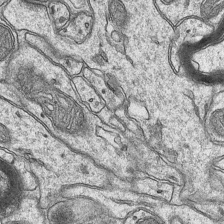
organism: Mouse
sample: CA1 Hippocampus